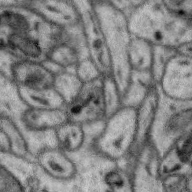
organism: Zebra finch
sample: Brain